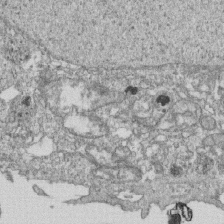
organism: Human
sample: HeLa cell HIV synapse